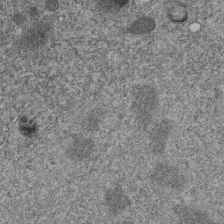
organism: C. elegans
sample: C. elegans embryo early stage